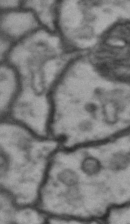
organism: Drosophila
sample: Brain